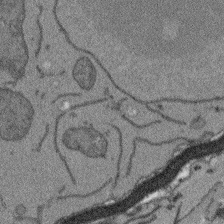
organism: Arabidopsis thaliana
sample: Root tip